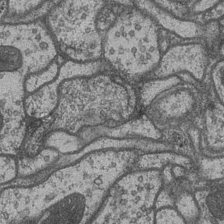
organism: Drosophila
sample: Optic medulla